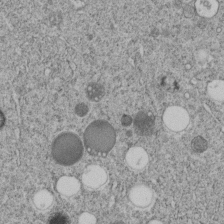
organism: C. elegans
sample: C. elegans embryo early stage